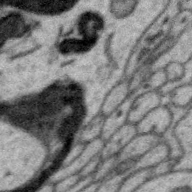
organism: Zebra finch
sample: Brain